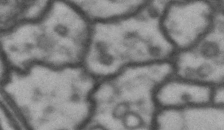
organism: Drosophila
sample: Brain